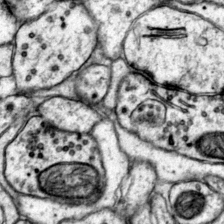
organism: Mouse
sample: Primary visual cortex